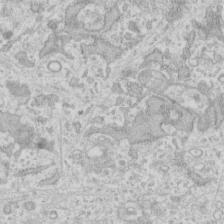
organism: Human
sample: Fibroblast cells